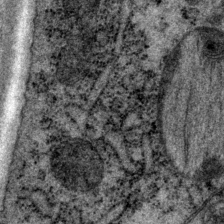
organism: P. pacificus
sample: Pharynx